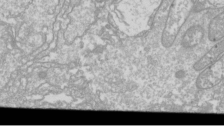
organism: Drosophila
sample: Cell division; meiosis; drosophila spermatocytes